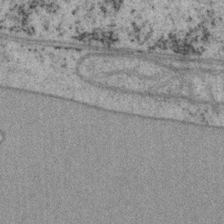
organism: Human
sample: HeLa cells